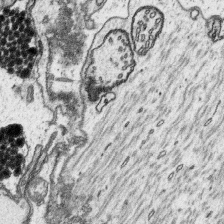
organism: Platynereis dumerilii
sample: Parapodia